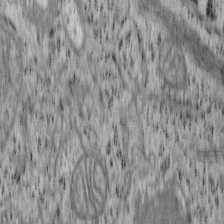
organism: Human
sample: HeLa cells